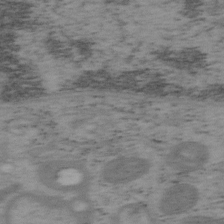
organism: Mouse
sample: OT-I killer T cells with ID8 ovarian cancer cells